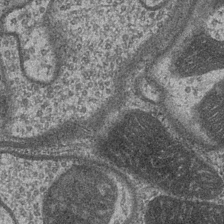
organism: Drosophila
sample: Optic medulla